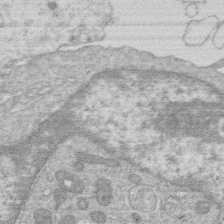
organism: Human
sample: Macrophage cells